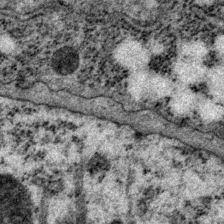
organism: P. pacificus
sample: Pharynx